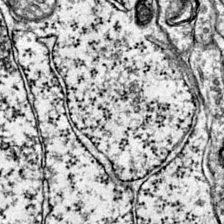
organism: Mouse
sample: Primary visual cortex